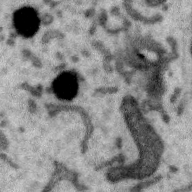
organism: Zebra finch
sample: Brain